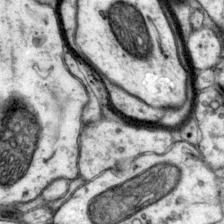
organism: Mouse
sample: Primary visual cortex